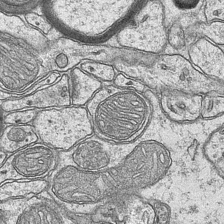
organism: Mouse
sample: CA1 Hippocampus